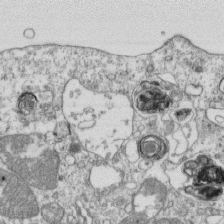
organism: Mouse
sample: Activated OT-1 CD8+ T cells